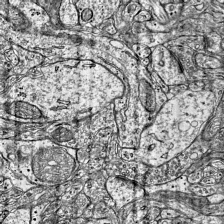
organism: Mouse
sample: Visual Cortex